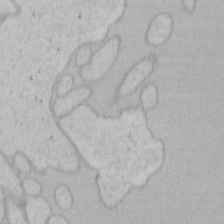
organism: Human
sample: HeLa cells